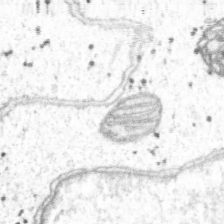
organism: Human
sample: HeLa cells